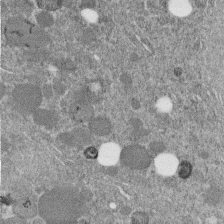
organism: C. elegans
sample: C. elegans embryo early stage